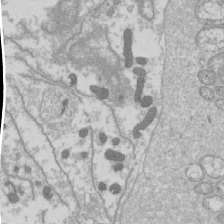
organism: Drosophila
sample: Cell division; meiosis; drosophila spermatocytes